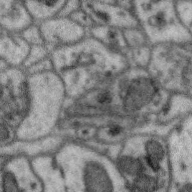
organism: Zebra finch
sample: Brain